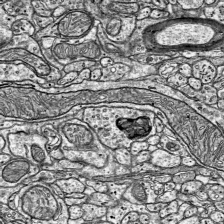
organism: Mouse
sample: Visual Cortex